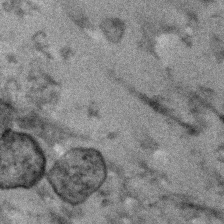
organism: Human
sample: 1205lu cells